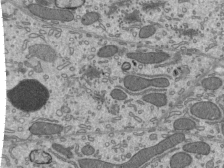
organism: Mouse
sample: Mouse epididymis efferent ductule cilia